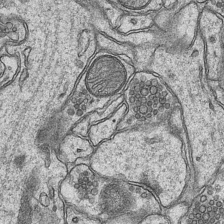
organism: Mouse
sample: CA1 Hippocampus